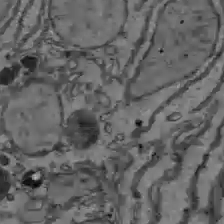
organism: C57BL Mouse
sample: Liver